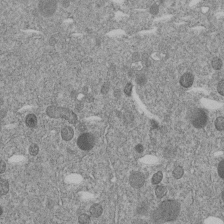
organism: C. elegans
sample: C. elegans embryo early stage